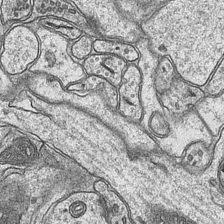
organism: Mouse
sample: CA1 Hippocampus